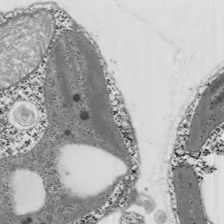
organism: Chlamydomonas reinhardtii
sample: Whole Cell